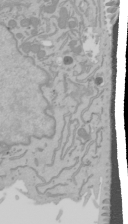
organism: Mouse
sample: Cancer cell death in ED-1 cells